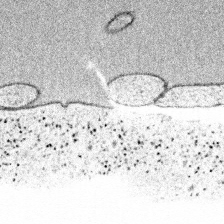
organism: Human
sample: HeLa cells